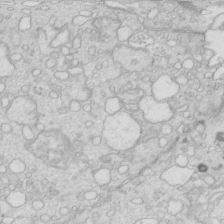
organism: Mouse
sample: Multiciliated cells